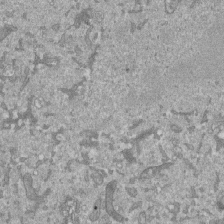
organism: Mouse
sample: ED-1 cell nuclei; centrioles